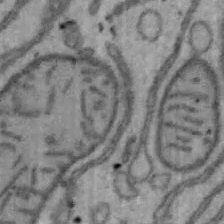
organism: Mouse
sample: Liver